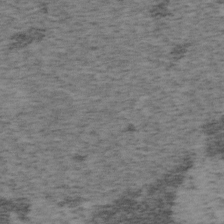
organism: Mouse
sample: OT-I killer T cells with ID8 ovarian cancer cells